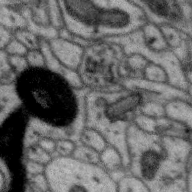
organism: Zebra finch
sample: Brain